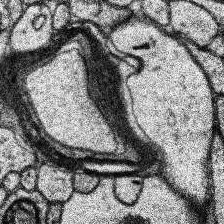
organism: Human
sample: Temporal Lobe